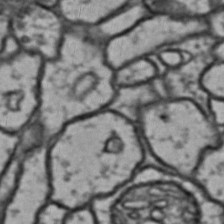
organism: Drosophila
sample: Brain